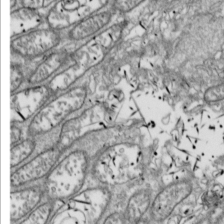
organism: Drosophila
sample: Cell division; meiosis; drosophila spermatocytes